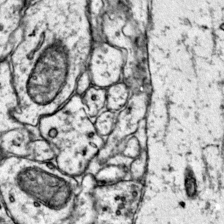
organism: Mouse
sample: Primary visual cortex